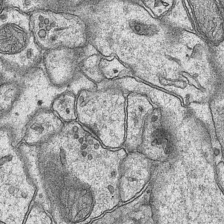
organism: Mouse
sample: CA1 Hippocampus